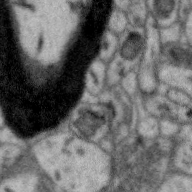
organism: Zebra finch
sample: Brain